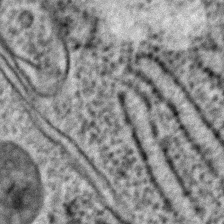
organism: C. elegans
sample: C. elegans embryo